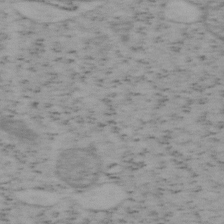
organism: Mouse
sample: OT-I killer T cells with ID8 ovarian cancer cells